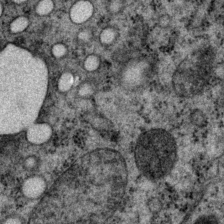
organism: P. pacificus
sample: Pharynx